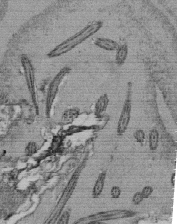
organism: Tetrahymena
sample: Cilia in tetrahymena